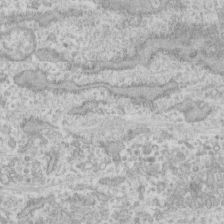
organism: Human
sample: CRL-1474